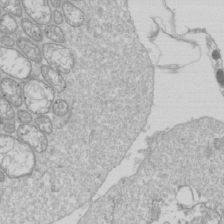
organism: Drosophila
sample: Cell division; meiosis; drosophila spermatocytes